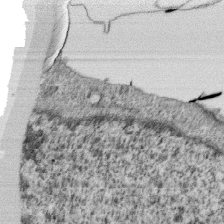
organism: African green monkey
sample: Vero E6 cells infected with SARS-CoV-2